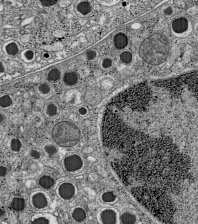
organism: C57BL Mouse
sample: Pancreatic islet